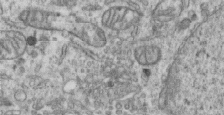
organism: Human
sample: Centriole in RPE cells